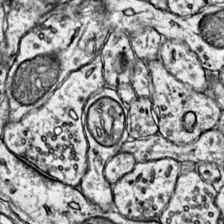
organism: Mouse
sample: Primary visual cortex